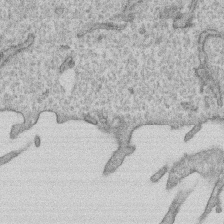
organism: Human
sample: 1205lu cells